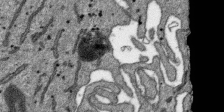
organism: Human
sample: Lung epithelial cells, uninfected (mock) control